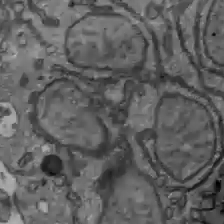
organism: C57BL Mouse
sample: Liver